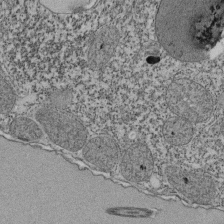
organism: Tetrahymena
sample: Cilia in tetrahymena